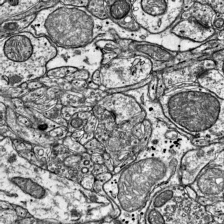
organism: Mouse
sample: Visual Cortex